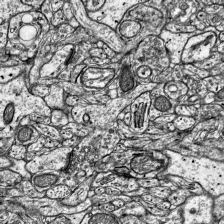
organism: Mouse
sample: Visual Cortex